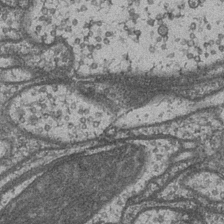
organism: Drosophila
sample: Optic medulla